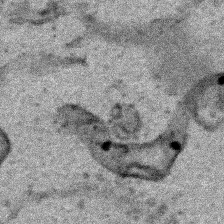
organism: Human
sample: Mitochondria in HCT116 cells